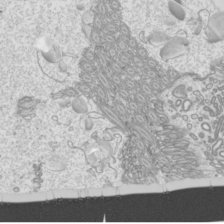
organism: Mouse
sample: Cilia; mouse epididymis